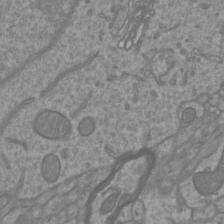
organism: Mouse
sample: Cortical neurons